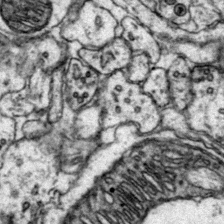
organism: Mouse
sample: Primary visual cortex